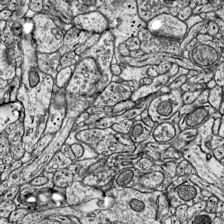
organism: Mouse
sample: Visual Cortex